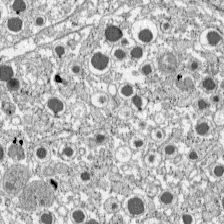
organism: C57BL Mouse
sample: Pancreatic islet